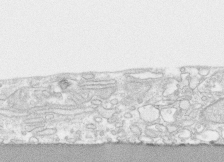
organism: Human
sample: CRL-1474